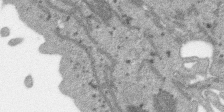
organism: Human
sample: Lung epithelial cells infected with SARS-CoV-2